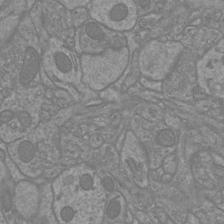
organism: Mouse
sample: Cortical neurons